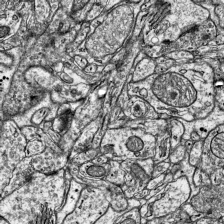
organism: Mouse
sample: Visual Cortex